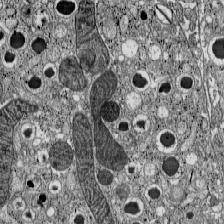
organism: C57BL Mouse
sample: Pancreatic islet